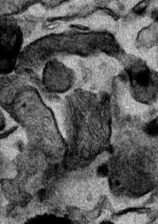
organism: Mouse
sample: Cancer cell death in ED-1 cells